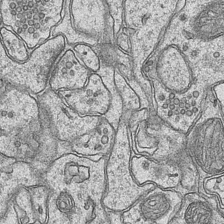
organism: Mouse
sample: CA1 Hippocampus